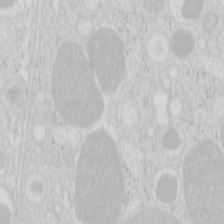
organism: Mouse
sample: Pancreas